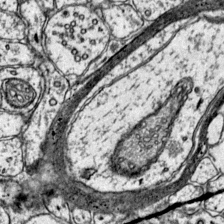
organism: Mouse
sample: Primary visual cortex